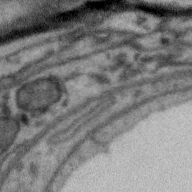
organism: Zebra finch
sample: Brain